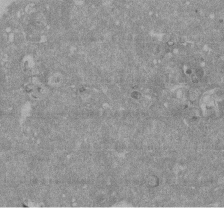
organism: Mouse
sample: ED-1 cell nuclei; centrioles